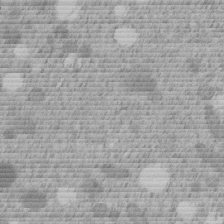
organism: C. elegans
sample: C. elegans embryo early stage